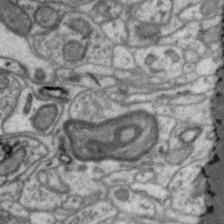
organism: Zebra finch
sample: Brain